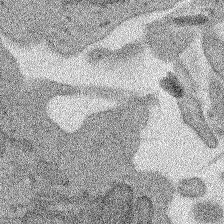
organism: Human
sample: HeLa cells